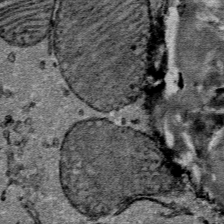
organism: Mouse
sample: Mouse Salivary gland